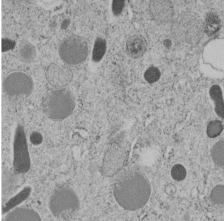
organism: C. elegans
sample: C. elegans embryo early stage